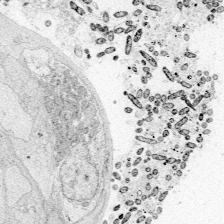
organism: Zebrafish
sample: Whole-Brain